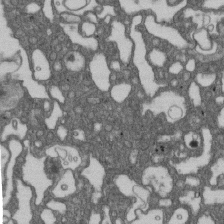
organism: Drosophila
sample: Nephrocyte